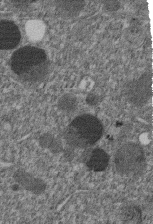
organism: C. elegans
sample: C. elegans embryo early stage